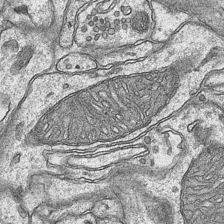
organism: Mouse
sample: CA1 Hippocampus